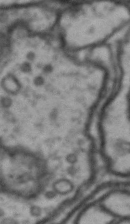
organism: Drosophila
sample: Brain